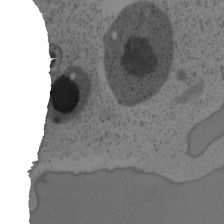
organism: Mouse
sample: OT-I killer T cells with ID8 ovarian cancer cells